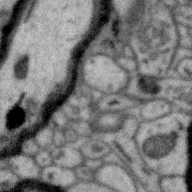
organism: Zebra finch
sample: Brain